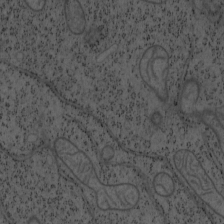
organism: Mouse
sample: OT-I killer T cells with ID8 ovarian cancer cells